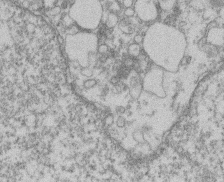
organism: Mouse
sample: T cell stromal cell synapse